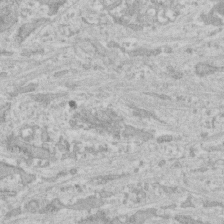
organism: Human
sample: CRL-1474